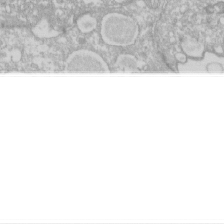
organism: Xenopus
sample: Cilia; centrioles in frog embryo cells